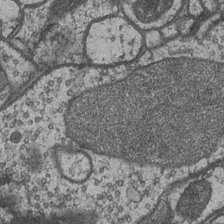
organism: Drosophila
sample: Optic medulla